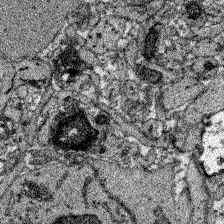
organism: Zebrafish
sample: Larval olfactory bulb